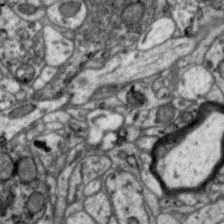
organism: Zebra finch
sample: Brain